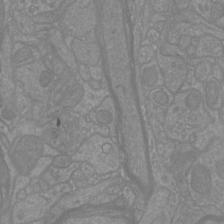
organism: Mouse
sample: Cortical neurons